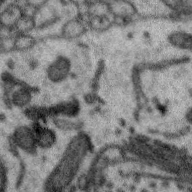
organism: Zebra finch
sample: Brain